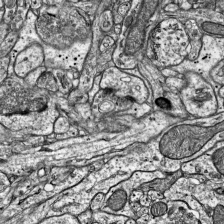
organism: Mouse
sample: Visual Cortex